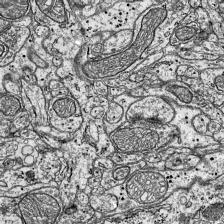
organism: Mouse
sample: Visual Cortex